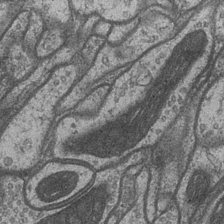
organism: Drosophila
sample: Optic medulla